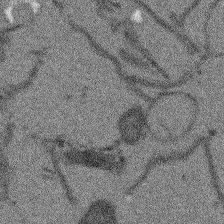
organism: Arabidopsis thaliana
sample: Root tip